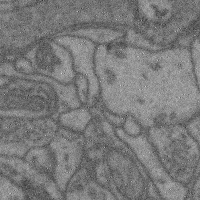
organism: Mouse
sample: Cerebral cortex